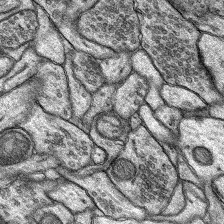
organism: Rat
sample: Hippocampus